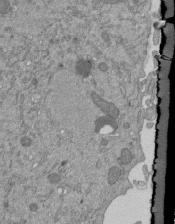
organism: Mouse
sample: ED-1 cell nuclei; centrioles